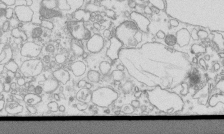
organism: Mouse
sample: Macrophages